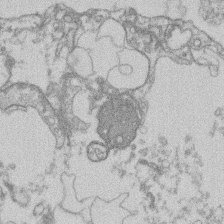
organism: Mouse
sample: T cell stromal cell synapse